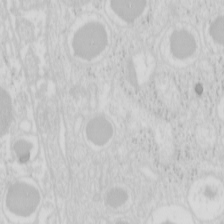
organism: Mouse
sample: Pancreas